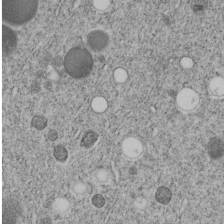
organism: C. elegans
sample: C. elegans embryo early stage